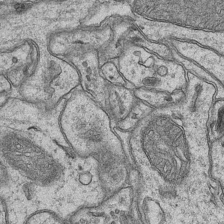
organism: Mouse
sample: CA1 Hippocampus